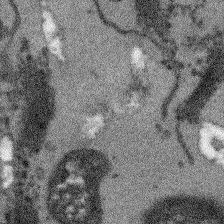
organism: Arabidopsis thaliana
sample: Root tip